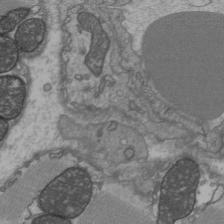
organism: C57BL Mouse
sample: Heart